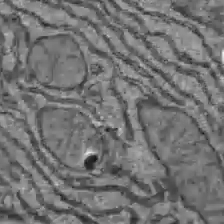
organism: C57BL Mouse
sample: Liver